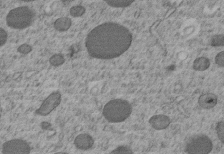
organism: C. elegans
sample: C. elegans embryo early stage